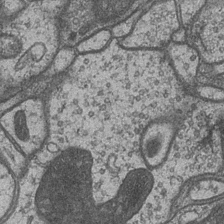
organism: Drosophila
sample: Optic medulla